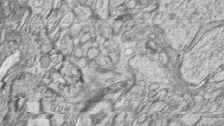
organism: Zebrafish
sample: synaptic ribbons in rod cells and cone cells